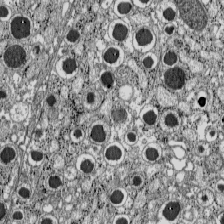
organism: C57BL Mouse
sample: Pancreatic islet